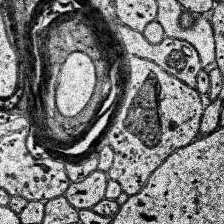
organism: Human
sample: Temporal Lobe